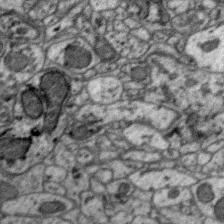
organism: Zebra finch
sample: Brain